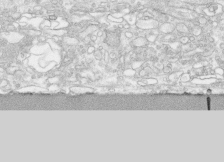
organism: Human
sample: CRL-1474